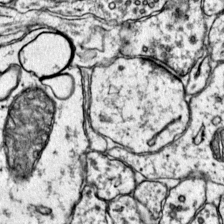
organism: Mouse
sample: Primary visual cortex